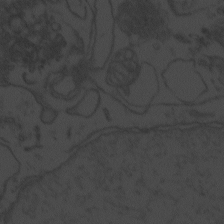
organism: Zebrafish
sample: Macrophage infected with Toxoplasma gondii